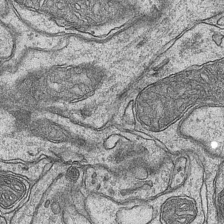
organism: Mouse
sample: CA1 Hippocampus